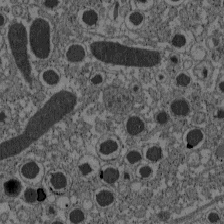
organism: C57BL Mouse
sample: Pancreatic islet